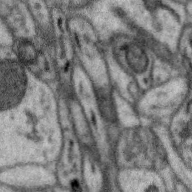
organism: Zebra finch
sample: Brain